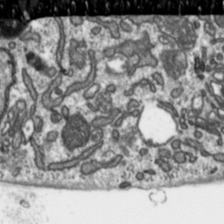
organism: Toxoplasma gondii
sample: Parasites in a vacuole inside a host cell